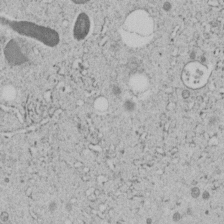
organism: C. elegans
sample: C. elegans embryo early stage